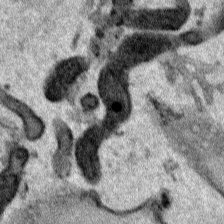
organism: Human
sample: Mitochondria in HCT116 cells